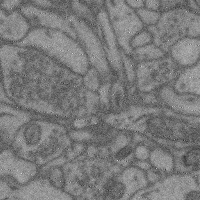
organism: Mouse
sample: Cerebral cortex